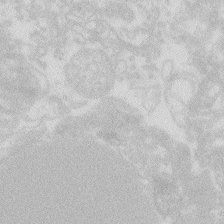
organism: Zebrafish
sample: Macrophage